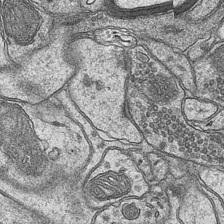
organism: Mouse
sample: CA1 Hippocampus